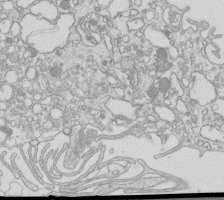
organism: Mouse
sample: Macrophages